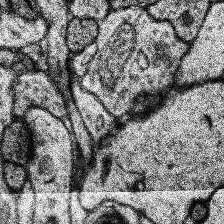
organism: Human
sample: Temporal Lobe